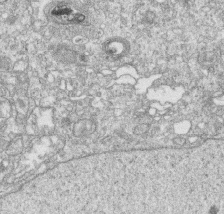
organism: Human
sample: HeLa cell HIV synapse